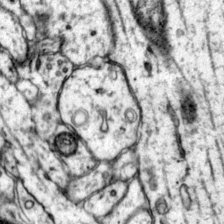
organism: Mouse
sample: Primary visual cortex